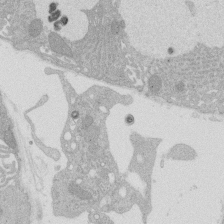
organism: Rat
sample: Salivary granule